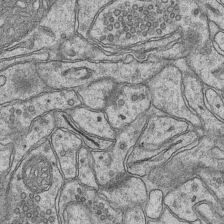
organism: Mouse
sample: CA1 Hippocampus